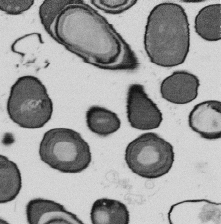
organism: B. subtilis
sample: Bacterial spore